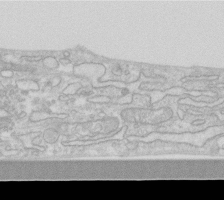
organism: Human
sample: Fibroblast cells